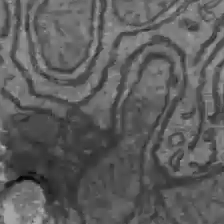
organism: C57BL Mouse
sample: Liver